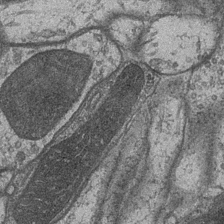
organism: Drosophila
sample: Optic medulla